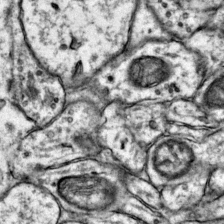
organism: Mouse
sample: Primary visual cortex